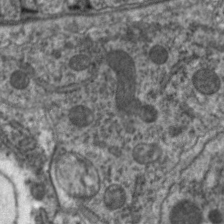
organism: C. elegans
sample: Pharynx